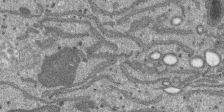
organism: Human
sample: Lung epithelial cells infected with SARS-CoV-2